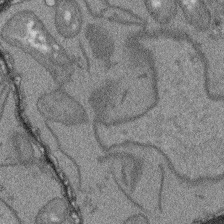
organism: Arabidopsis thaliana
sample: Root tip